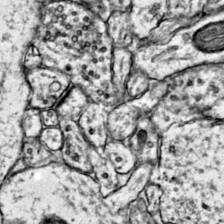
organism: Mouse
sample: Primary visual cortex